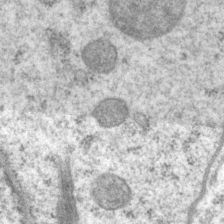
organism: P. pacificus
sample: Pharynx